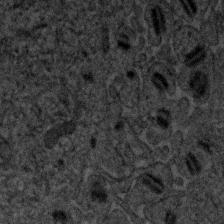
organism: Human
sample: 1205lu cells